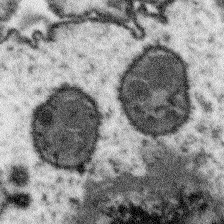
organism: Arabidopsis thaliana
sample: Root tip